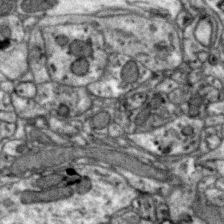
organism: Zebra finch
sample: Brain